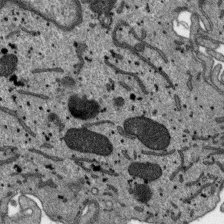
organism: Human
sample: Lung epithelial cells, uninfected (mock) control